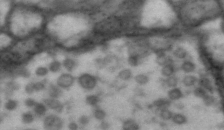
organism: Drosophila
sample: Brain